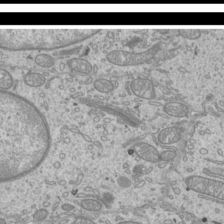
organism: Mouse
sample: Cilia; mouse epididymis